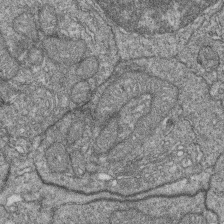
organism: Zebrafish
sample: Cilia; retinal pigment epithelium